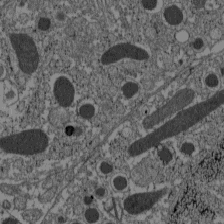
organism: C57BL Mouse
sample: Pancreatic islet